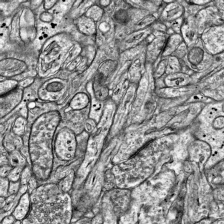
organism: Mouse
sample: Visual Cortex